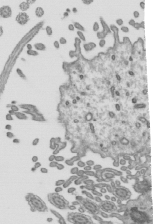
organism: Mouse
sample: Mouse epididymis efferent ductule cilia